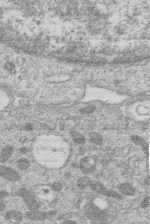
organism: Human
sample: Macrophage cells